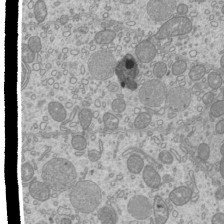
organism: Mouse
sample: Cilia; mouse epididymis